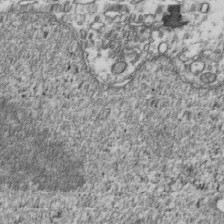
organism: Human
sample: Activated Jurkat CD4+ T cells